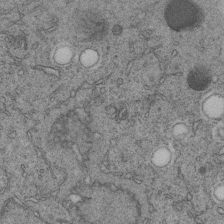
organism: C. elegans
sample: C. elegans embryo early stage